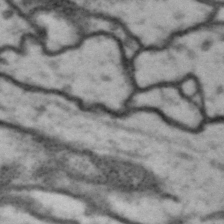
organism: Drosophila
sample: Brain